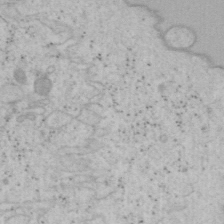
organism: Human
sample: HeLa cells